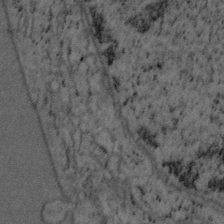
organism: Human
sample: HeLa cells